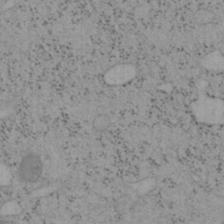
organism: Mouse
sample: OT-I killer T cells with ID8 ovarian cancer cells